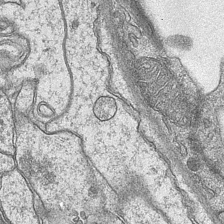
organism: Mouse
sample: CA1 Hippocampus